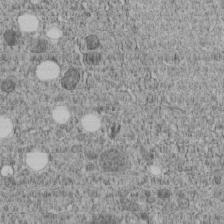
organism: C. elegans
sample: C. elegans embryo early stage